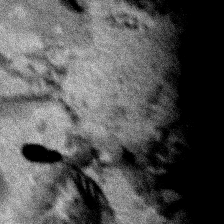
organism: Human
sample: Mitochondria in HCT116 cells